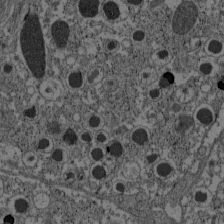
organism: C57BL Mouse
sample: Pancreatic islet